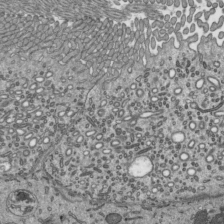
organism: Mouse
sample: Mouse epididymis efferent ductule cilia